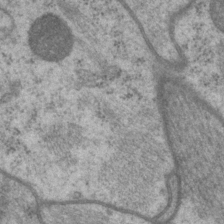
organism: P. pacificus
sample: Pharynx